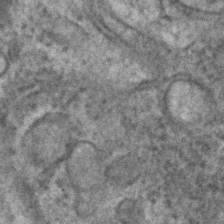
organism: C. elegans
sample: C. elegans embryo